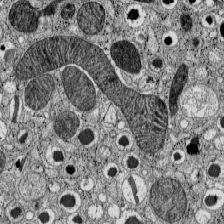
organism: C57BL Mouse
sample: Pancreatic islet